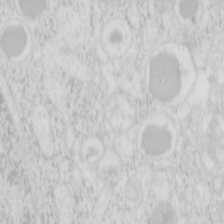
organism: Mouse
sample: Pancreas